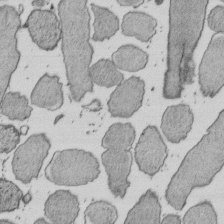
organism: E. coli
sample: Bacterial nucleoid